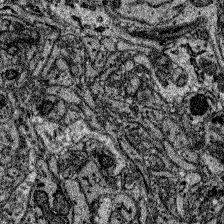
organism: Zebrafish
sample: Larval olfactory bulb